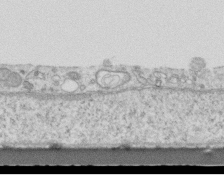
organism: Mouse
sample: Centriole in ependymal cells